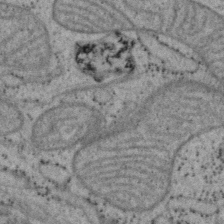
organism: Human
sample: HeLa cells